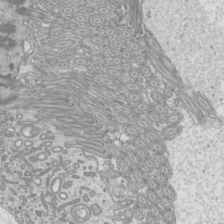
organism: Mouse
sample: Cilia; mouse epididymis